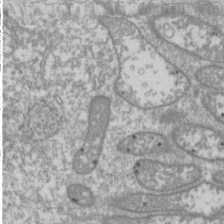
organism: Drosophila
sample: Cell division; meiosis; drosophila spermatocytes